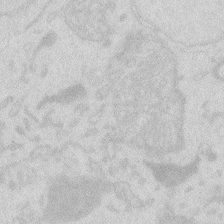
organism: Zebrafish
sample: Macrophage